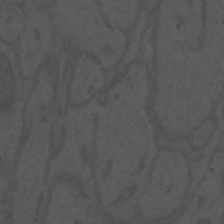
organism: Mouse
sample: Suprachiasmatic nucleus